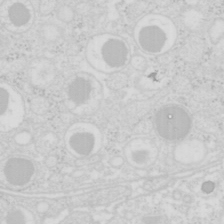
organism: Mouse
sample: Pancreas